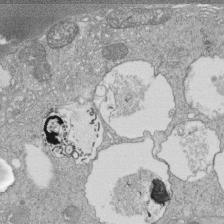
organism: Tetrahymena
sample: Cilia in tetrahymena